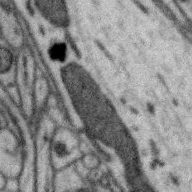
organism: Zebra finch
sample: Brain